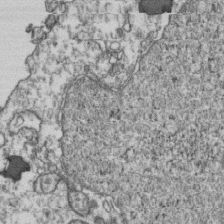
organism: Human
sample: Activated Jurkat CD4+ T cells